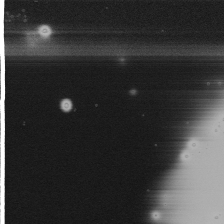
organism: Mouse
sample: Cancer cell death in ED-1 cells